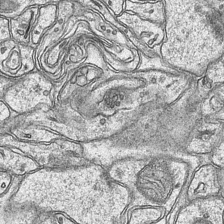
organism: Mouse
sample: CA1 Hippocampus